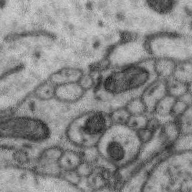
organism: Zebra finch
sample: Brain